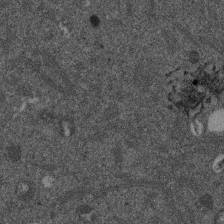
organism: Mouse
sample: Dividing mouse embryo 1 cell stage